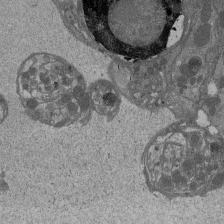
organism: Drosophila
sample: Antenna